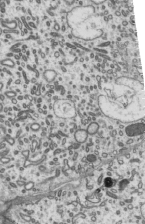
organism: Mouse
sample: Mouse epididymis efferent ductule cilia